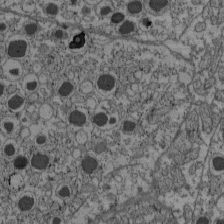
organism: C57BL Mouse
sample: Pancreatic islet